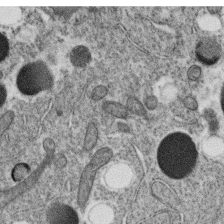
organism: C. elegans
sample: C. elegans oocyte; sperm cells